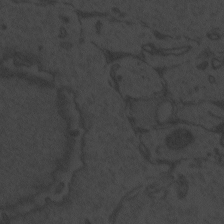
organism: Zebrafish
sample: Macrophage infected with Toxoplasma gondii